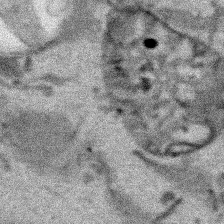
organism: Human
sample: Mitochondria in HCT116 cells